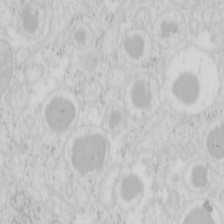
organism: Mouse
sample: Pancreas